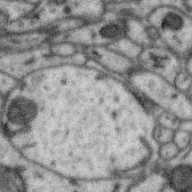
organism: Zebra finch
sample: Brain